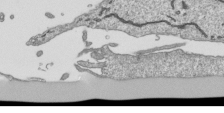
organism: Human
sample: Mitochondria in HCT116 cells